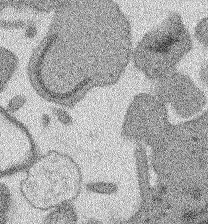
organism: Human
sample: HeLa cells